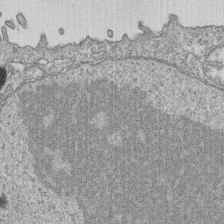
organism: Human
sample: HeLa cell HIV synapse